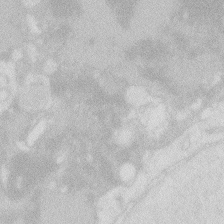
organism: Zebrafish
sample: Macrophage